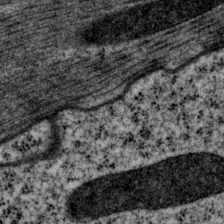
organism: P. pacificus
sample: Pharynx